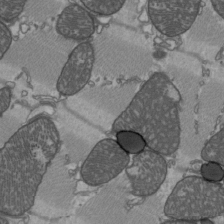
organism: C57BL Mouse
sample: Heart